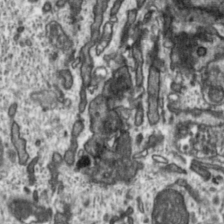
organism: Toxoplasma gondii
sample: Parasites in a vacuole inside a host cell